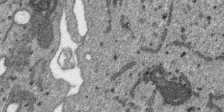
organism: Human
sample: Lung epithelial cells infected with SARS-CoV-2